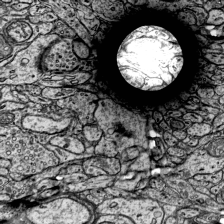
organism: Mouse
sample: Visual Cortex